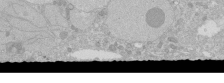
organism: Human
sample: Caco-2 cells